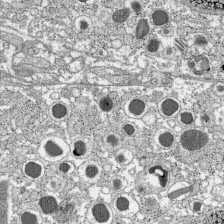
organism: C57BL Mouse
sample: Pancreatic islet